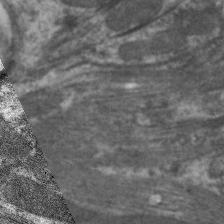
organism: C. elegans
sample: Pharynx